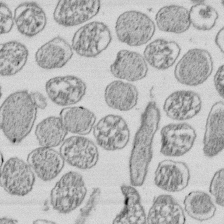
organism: E. coli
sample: Bacterial nucleoid